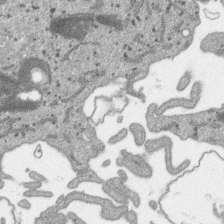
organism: Human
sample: Lung epithelial cells infected with SARS-CoV-2